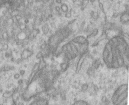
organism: Human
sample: Centriole in RPE cells